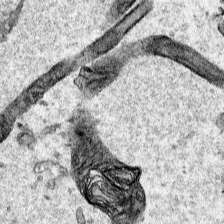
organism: Human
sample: Mitochondria in HCT116 cells